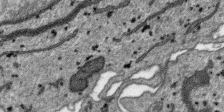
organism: Human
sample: Lung epithelial cells, uninfected (mock) control